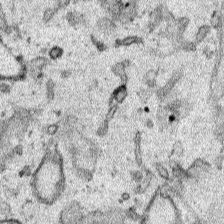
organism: Human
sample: Mitochondria in HCT116 cells